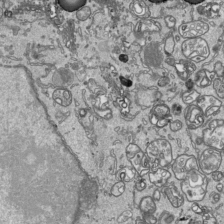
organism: Human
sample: Mitochondria in HCT116 cells